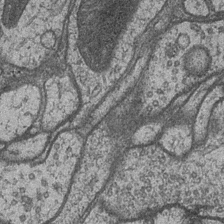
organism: Drosophila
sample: Optic medulla